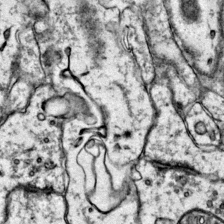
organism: Mouse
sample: Primary visual cortex